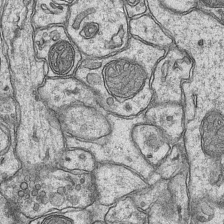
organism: Mouse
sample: CA1 Hippocampus